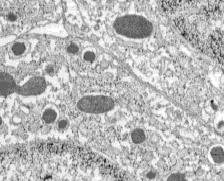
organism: C57BL Mouse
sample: Pancreatic islet